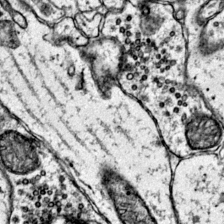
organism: Mouse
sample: Primary visual cortex